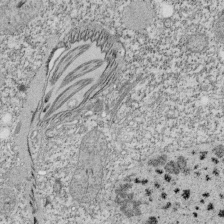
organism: Tetrahymena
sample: Cilia in tetrahymena